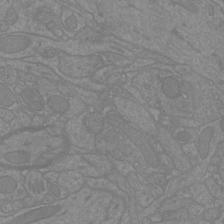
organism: Mouse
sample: Cortical neurons